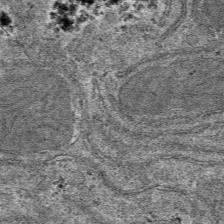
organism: Mouse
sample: Mouse hepatocytes